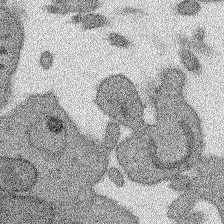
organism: Human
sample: HeLa cells